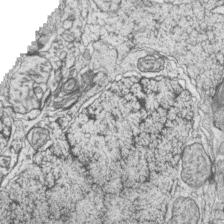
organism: Zebrafish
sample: synaptic ribbons in rod cells and cone cells